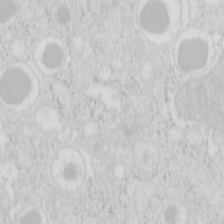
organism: Mouse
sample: Pancreas